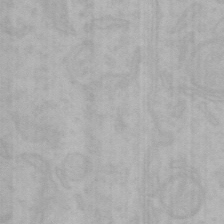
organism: Mouse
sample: Choroid plexus